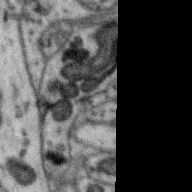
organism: Zebra finch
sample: Brain